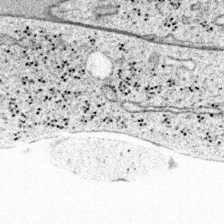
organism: Human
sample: HeLa cells